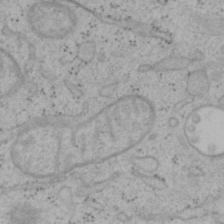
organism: Human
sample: HeLa cells